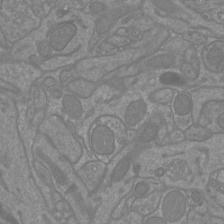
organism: Mouse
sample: Cortical neurons